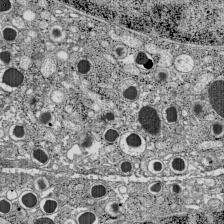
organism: C57BL Mouse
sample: Pancreatic islet